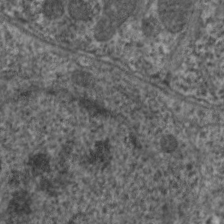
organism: C. elegans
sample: Pharynx